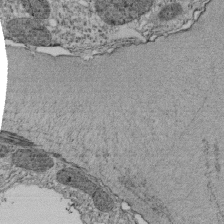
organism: Tetrahymena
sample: Cilia in tetrahymena